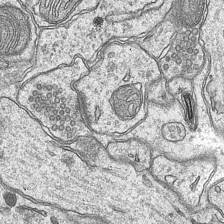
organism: Mouse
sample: CA1 Hippocampus